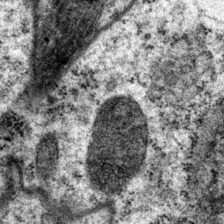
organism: P. pacificus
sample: Pharynx